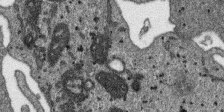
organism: Human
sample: Lung epithelial cells infected with SARS-CoV-2